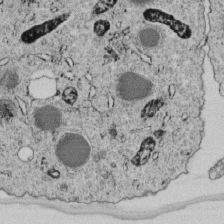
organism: C. elegans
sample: C. elegans embryo early stage